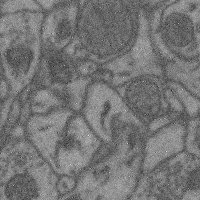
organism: Mouse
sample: Cerebral cortex